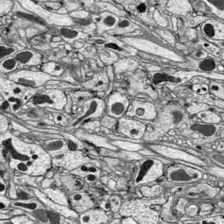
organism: Drosophila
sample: Optic lobe